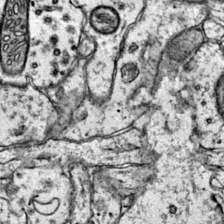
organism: Mouse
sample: Primary visual cortex